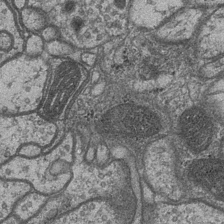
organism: Drosophila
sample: Optic medulla